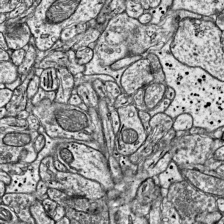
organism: Mouse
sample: Visual Cortex